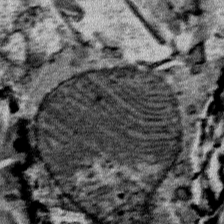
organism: Mouse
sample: Mouse Salivary gland